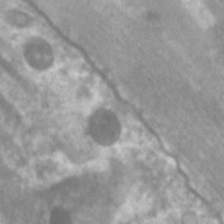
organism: C. elegans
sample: Pharynx